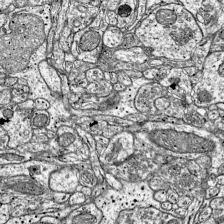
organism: Mouse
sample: Visual Cortex